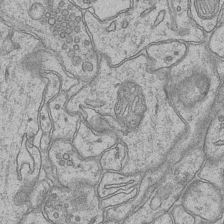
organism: Mouse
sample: CA1 Hippocampus